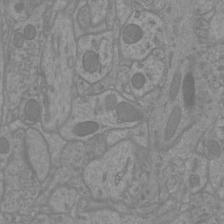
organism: Mouse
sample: Cortical neurons